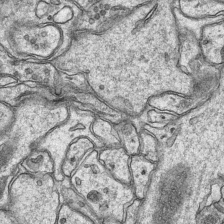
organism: Mouse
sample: CA1 Hippocampus